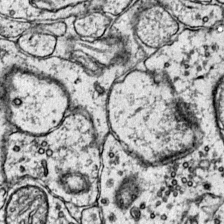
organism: Mouse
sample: Primary visual cortex